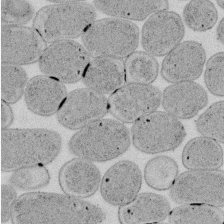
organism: E. coli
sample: Bacterial nucleoid